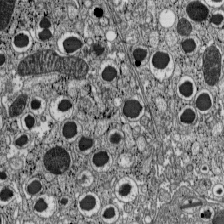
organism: C57BL Mouse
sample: Pancreatic islet